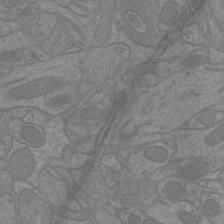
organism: Mouse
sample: Cortical neurons